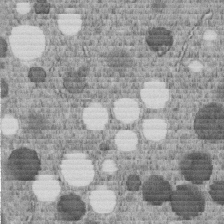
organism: C. elegans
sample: C. elegans embryo early stage